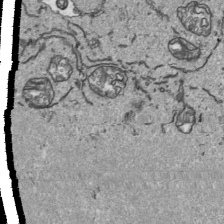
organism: Human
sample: Mitochondria in HCT116 cells